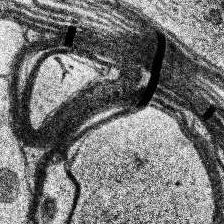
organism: Human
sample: Temporal Lobe